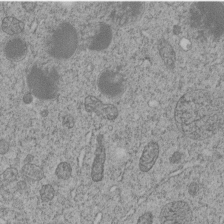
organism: C. elegans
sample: C. elegans embryo early stage